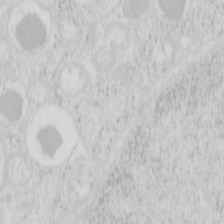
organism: Mouse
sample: Pancreas